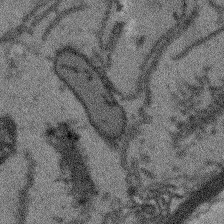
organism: Arabidopsis thaliana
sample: Root tip